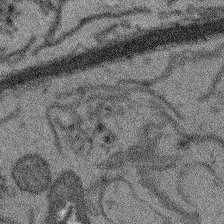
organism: Arabidopsis thaliana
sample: Root tip